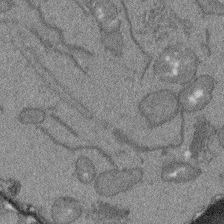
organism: Arabidopsis thaliana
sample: Root tip